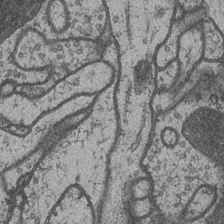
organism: Drosophila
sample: Optic medulla